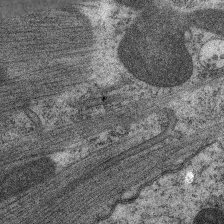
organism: C. elegans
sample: Pharynx